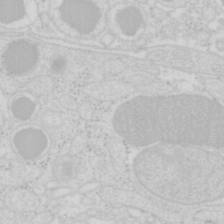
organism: Mouse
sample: Pancreas